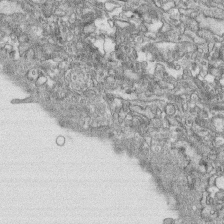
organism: Human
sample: CRL-1474